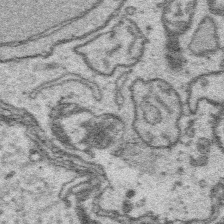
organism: Platynereis dumerilii